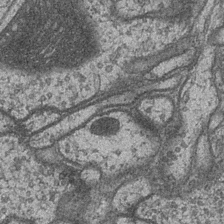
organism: Drosophila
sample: Optic medulla